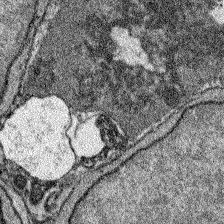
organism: Zebrafish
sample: Larval olfactory bulb